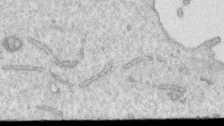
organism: Human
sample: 1205lu cells